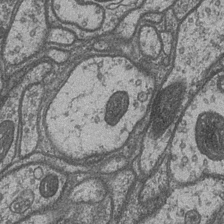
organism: Drosophila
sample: Optic medulla